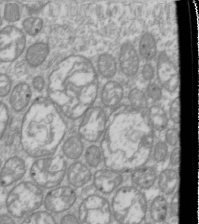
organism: Drosophila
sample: Cell division; meiosis; drosophila spermatocytes